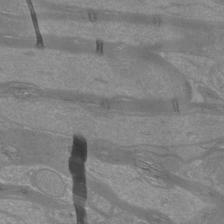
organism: Mouse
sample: Cortical neurons